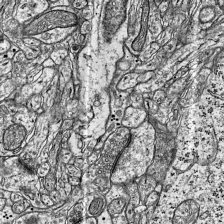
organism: Mouse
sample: Visual Cortex